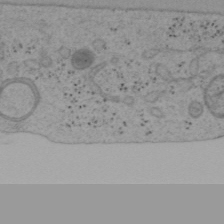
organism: Human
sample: HeLa cells